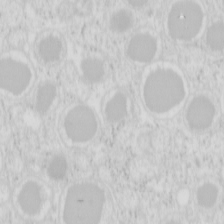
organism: Mouse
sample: Pancreas